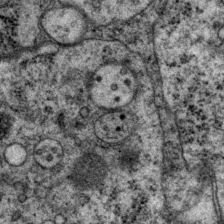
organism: P. pacificus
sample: Pharynx